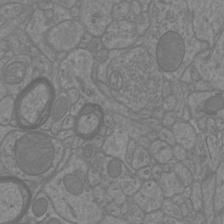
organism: Mouse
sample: Cortical neurons